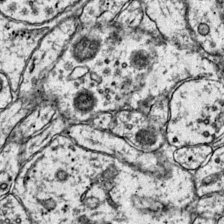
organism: Mouse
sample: Primary visual cortex